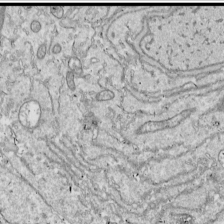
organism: Drosophila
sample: Cell division; meiosis; drosophila spermatocytes